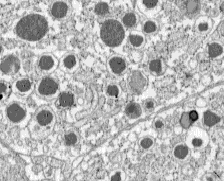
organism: C57BL Mouse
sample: Pancreatic islet